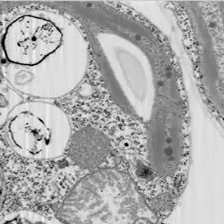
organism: Chlamydomonas reinhardtii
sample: Whole Cell